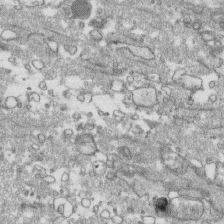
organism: Human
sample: CRL-1474